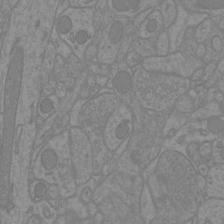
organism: Mouse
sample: Cortical neurons